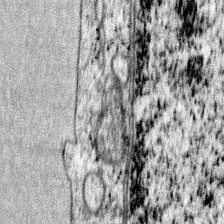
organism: Human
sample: HeLa cells